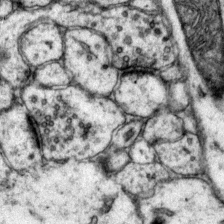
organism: Mouse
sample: Primary visual cortex